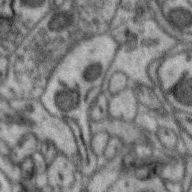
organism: Zebra finch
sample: Brain